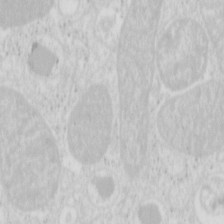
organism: Mouse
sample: Pancreas